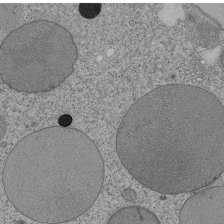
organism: Tetrahymena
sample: Cilia in tetrahymena